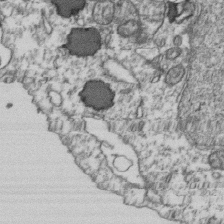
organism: Human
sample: Activated Jurkat CD4+ T cells